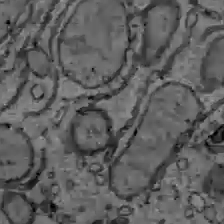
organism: C57BL Mouse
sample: Liver